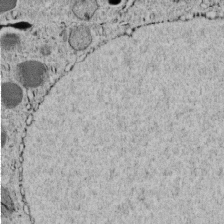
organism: C. elegans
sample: C. elegans embryo early stage